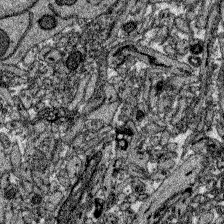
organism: Zebrafish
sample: Larval olfactory bulb